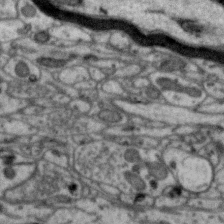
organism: Zebra finch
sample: Brain